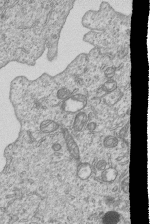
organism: Human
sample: MDA-MB-231 cells